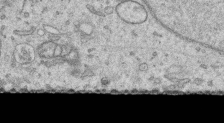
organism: Human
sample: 1205lu cells